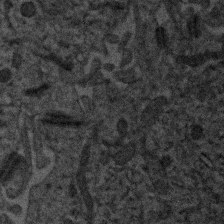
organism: Human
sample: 1205lu cells